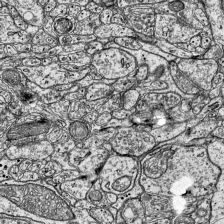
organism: Mouse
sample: Visual Cortex